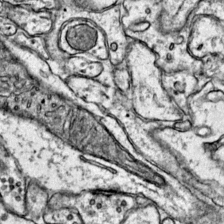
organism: Mouse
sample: Primary visual cortex